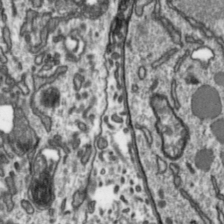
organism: Toxoplasma gondii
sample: Parasites in a vacuole inside a host cell